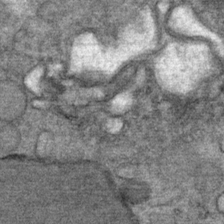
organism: Mouse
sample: Mouse Salivary gland